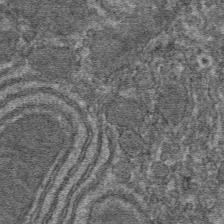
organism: Mouse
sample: Mouse hepatocytes